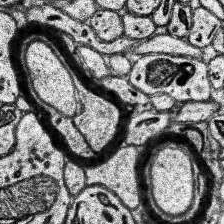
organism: Human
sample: Temporal Lobe